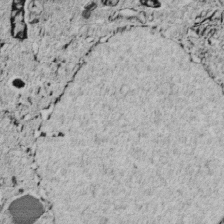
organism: C. elegans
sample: C. elegans embryo early stage